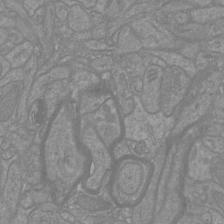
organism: Mouse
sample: Cortical neurons